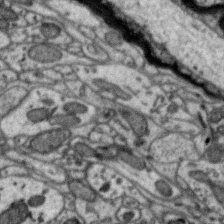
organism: Zebra finch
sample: Brain